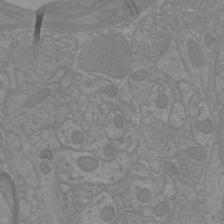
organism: Mouse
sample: Cortical neurons